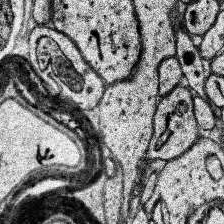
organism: Human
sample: Temporal Lobe